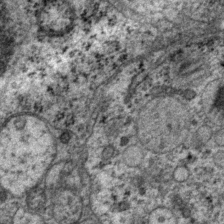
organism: P. pacificus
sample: Pharynx